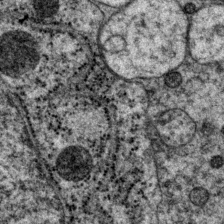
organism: P. pacificus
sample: Pharynx